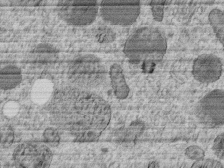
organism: C. elegans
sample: C. elegans embryo early stage